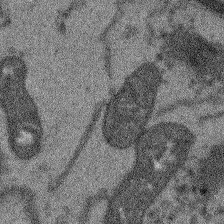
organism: Arabidopsis thaliana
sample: Root tip